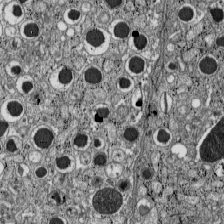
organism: C57BL Mouse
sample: Pancreatic islet